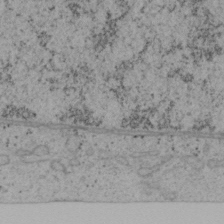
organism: Human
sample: HeLa cells